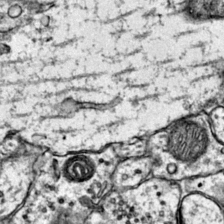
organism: Mouse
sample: Primary visual cortex